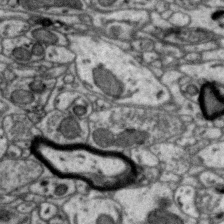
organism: Zebra finch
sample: Brain